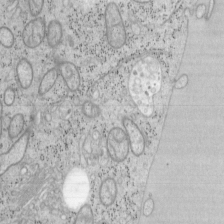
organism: Mouse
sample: OT-I killer T cells with ID8 ovarian cancer cells